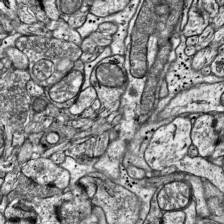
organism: Mouse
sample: Visual Cortex